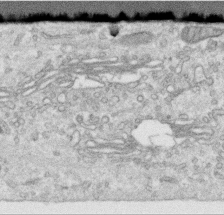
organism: Human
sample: Centriole in RPE cells